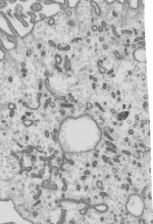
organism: Mouse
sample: Mouse epididymis efferent ductule cilia